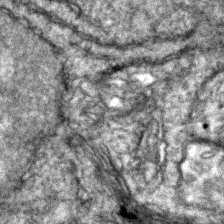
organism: Zebrafish